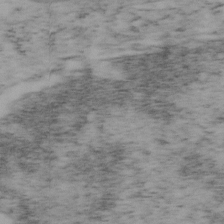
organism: Mouse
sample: OT-I killer T cells with ID8 ovarian cancer cells